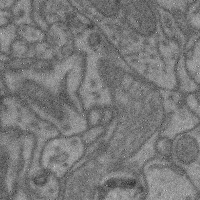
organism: Mouse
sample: Cerebral cortex